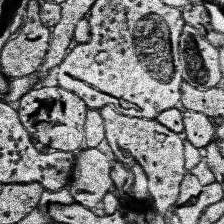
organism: Human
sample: Temporal Lobe